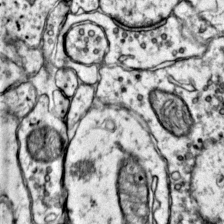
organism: Mouse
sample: Primary visual cortex